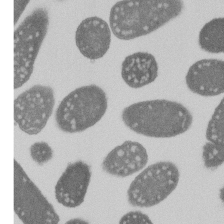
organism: E. coli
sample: Bacterial nucleoid